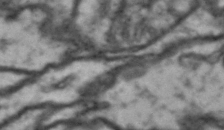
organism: Drosophila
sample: Brain